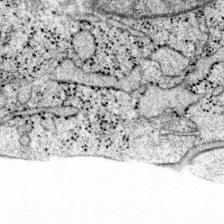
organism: Human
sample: HeLa cells